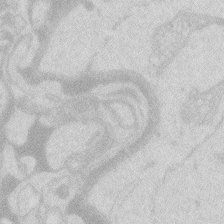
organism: Zebrafish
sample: Macrophage